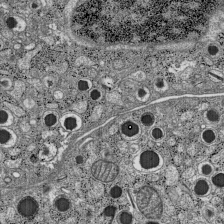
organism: C57BL Mouse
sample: Pancreatic islet